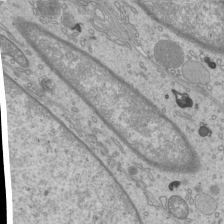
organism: Mouse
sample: Cilia; mouse epididymis